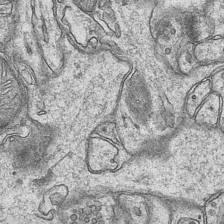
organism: Mouse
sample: CA1 Hippocampus